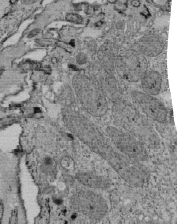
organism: Tetrahymena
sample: Cilia in tetrahymena